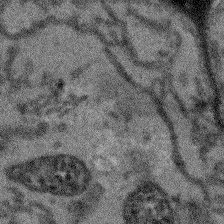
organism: Arabidopsis thaliana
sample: Root tip